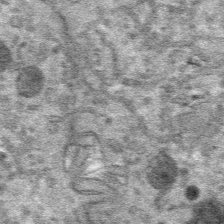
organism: Mouse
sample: Mouse hepatocytes